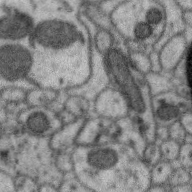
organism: Zebra finch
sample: Brain